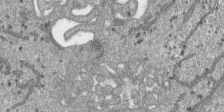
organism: Human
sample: Lung epithelial cells infected with SARS-CoV-2